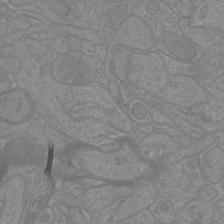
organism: Mouse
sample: Cortical neurons